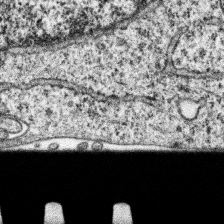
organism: Human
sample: HeLa cells